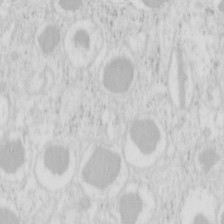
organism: Mouse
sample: Pancreas